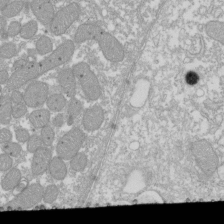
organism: Xenopus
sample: Cilia; centrioles in frog embryo cells